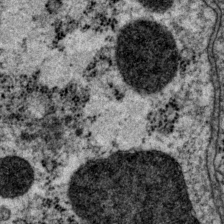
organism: P. pacificus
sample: Pharynx